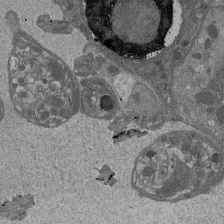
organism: Drosophila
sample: Antenna